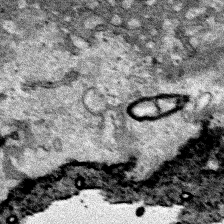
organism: Human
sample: Mitochondria in HCT116 cells